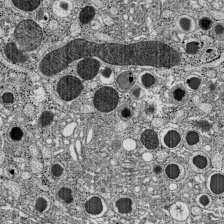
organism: C57BL Mouse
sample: Pancreatic islet